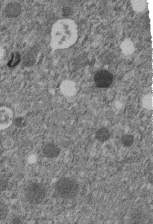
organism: C. elegans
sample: C. elegans embryo early stage